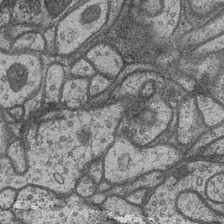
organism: Drosophila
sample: Optic medulla